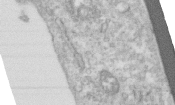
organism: Human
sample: Centriole in RPE cells